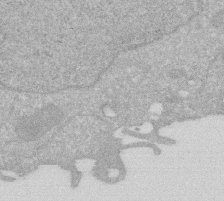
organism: Human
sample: HIV infected U937 cells